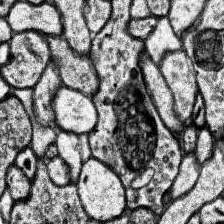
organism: Human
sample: Temporal Lobe